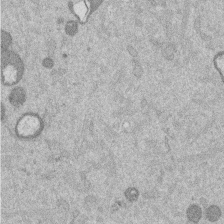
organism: Mouse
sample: Dividing mouse embryo 1 cell stage